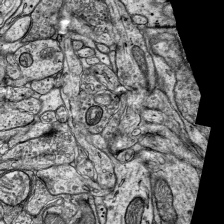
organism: Mouse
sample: Visual Cortex